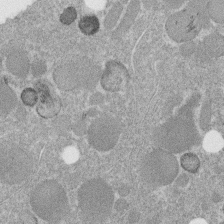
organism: C. elegans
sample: C. elegans embryo early stage